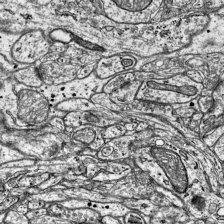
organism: Mouse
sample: Visual Cortex